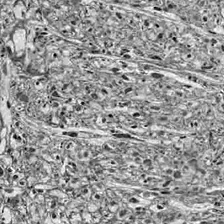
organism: Drosophila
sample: Optic lobe